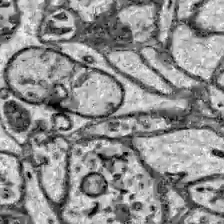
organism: Zebrafish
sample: Brain